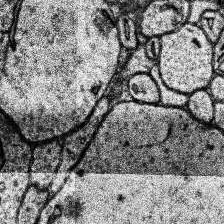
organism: Human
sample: Temporal Lobe